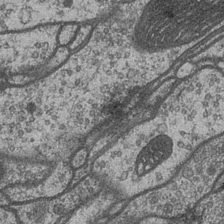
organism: Drosophila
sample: Optic medulla